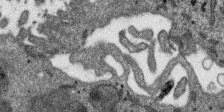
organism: Human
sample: Lung epithelial cells infected with SARS-CoV-2